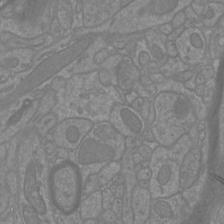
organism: Mouse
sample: Cortical neurons